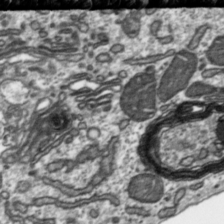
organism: Toxoplasma gondii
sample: Parasites in a vacuole inside a host cell